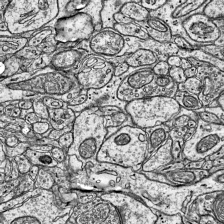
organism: Mouse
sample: Visual Cortex